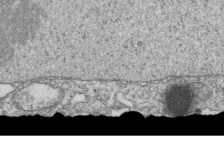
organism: Human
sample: HeLa cell HIV synapse